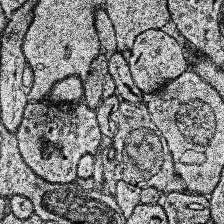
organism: Human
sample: Temporal Lobe